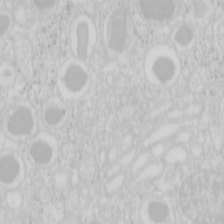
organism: Mouse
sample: Pancreas